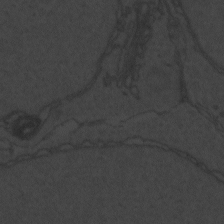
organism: Zebrafish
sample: Macrophage infected with Toxoplasma gondii